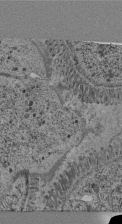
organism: C. elegans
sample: C. elegans pharynx